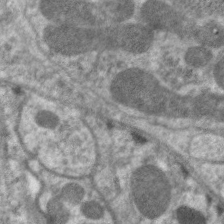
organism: C. elegans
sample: Pharynx